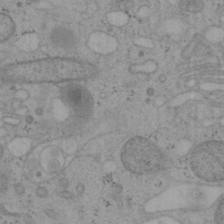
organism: Mouse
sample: OT-I killer T cells with ID8 ovarian cancer cells